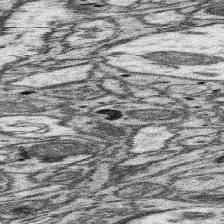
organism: Mouse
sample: Somatosensory cortex neuropil